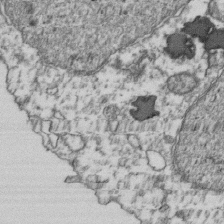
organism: Human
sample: Activated Jurkat CD4+ T cells